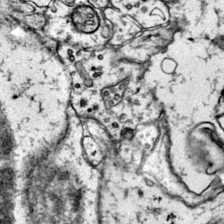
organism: Mouse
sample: Primary visual cortex